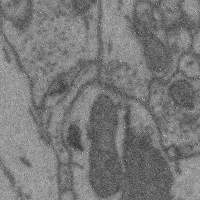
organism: Mouse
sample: Cerebral cortex